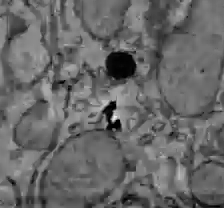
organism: C57BL Mouse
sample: Liver